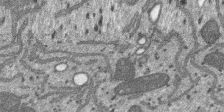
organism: Human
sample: Lung epithelial cells infected with SARS-CoV-2